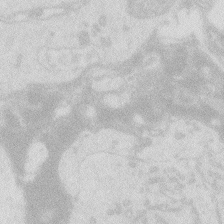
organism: Zebrafish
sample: Macrophage